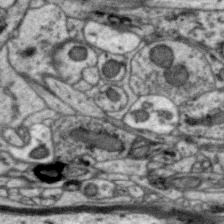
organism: Zebra finch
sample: Brain